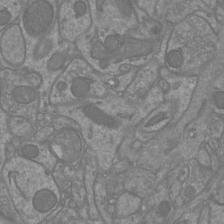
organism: Mouse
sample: Cortical neurons